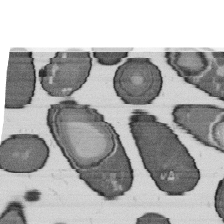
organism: B. subtilis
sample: Bacterial spore